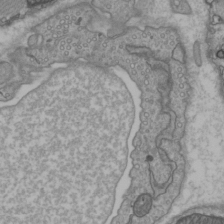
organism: C57BL Mouse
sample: Heart